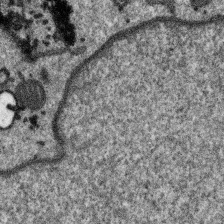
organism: Human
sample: Lung epithelial cells infected with SARS-CoV-2